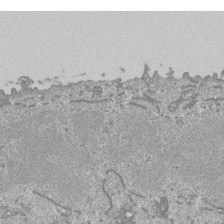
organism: Mouse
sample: ED-1 cell nuclei; centrioles